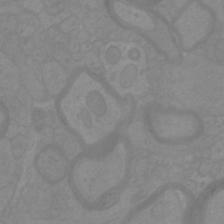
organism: Mouse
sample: Cortical neurons